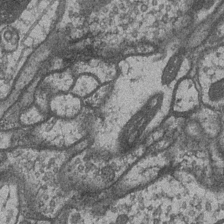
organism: Drosophila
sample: Optic medulla